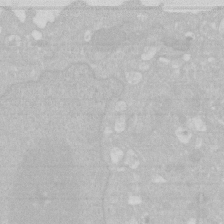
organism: Human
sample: HIV infected U937 cells